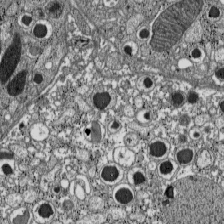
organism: C57BL Mouse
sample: Pancreatic islet